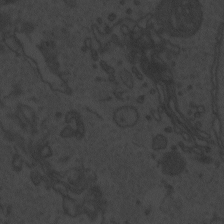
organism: Zebrafish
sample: Macrophage infected with Toxoplasma gondii